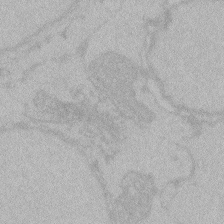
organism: Zebrafish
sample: Macrophage infected with Toxoplasma gondii